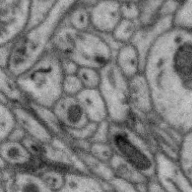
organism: Zebra finch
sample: Brain